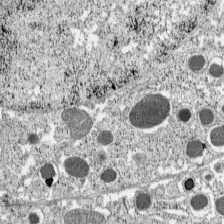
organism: C57BL Mouse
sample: Pancreatic islet